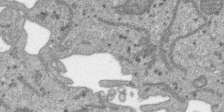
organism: Human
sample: Lung epithelial cells infected with SARS-CoV-2